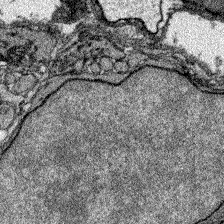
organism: Zebrafish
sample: Larval olfactory bulb